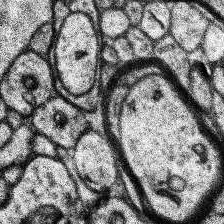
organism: Human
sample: Temporal Lobe